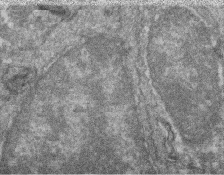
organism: Zebrafish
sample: Cilia; retinal pigment epithelium